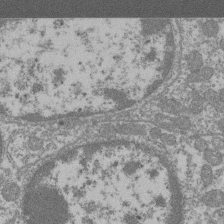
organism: Mouse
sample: Glomerulus